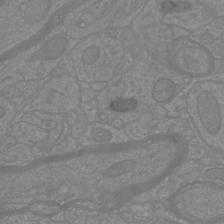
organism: Mouse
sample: Cortical neurons